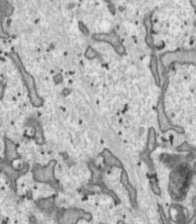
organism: Toxoplasma gondii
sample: Parasites in a vacuole inside a host cell